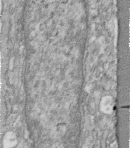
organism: Human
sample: Centriole in fibroblast cells